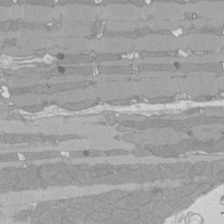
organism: Rat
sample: Left ventricle